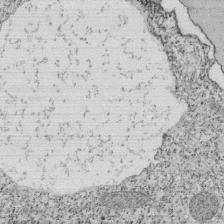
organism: Tetrahymena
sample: Cilia in tetrahymena